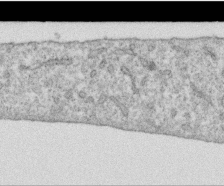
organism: Human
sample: Centriole in RPE cells